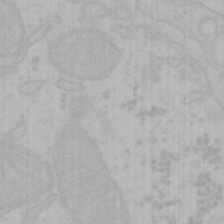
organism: Mouse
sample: Choroid plexus